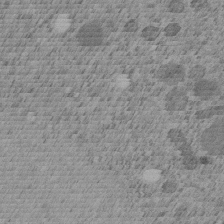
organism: C. elegans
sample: C. elegans embryo early stage